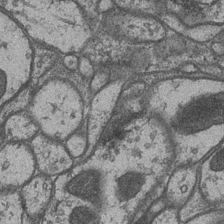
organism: Drosophila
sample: Optic medulla